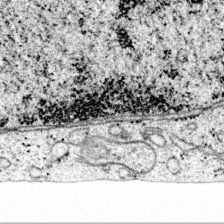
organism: Human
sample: HeLa cells